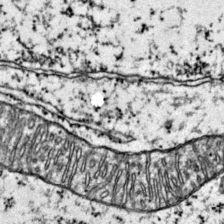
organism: Mouse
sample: Primary visual cortex